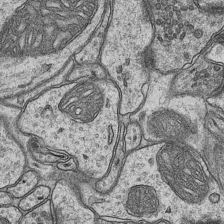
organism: Mouse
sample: CA1 Hippocampus